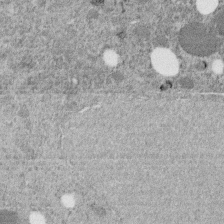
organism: C. elegans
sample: C. elegans embryo early stage